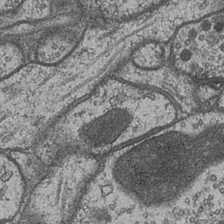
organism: Drosophila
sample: Optic medulla